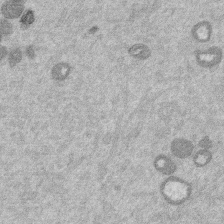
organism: Mouse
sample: Dividing mouse embryo 1 cell stage